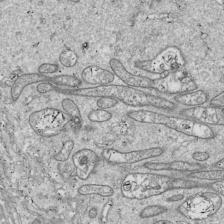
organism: Drosophila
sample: Cell division; meiosis; drosophila spermatocytes